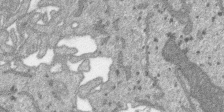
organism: Human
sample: Lung epithelial cells infected with SARS-CoV-2